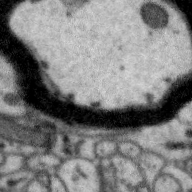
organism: Zebra finch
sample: Brain